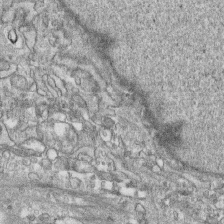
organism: Human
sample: CRL-1474